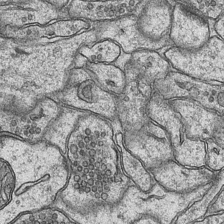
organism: Mouse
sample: CA1 Hippocampus